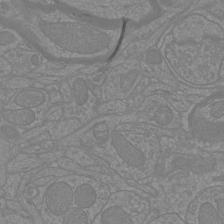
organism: Mouse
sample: Cortical neurons